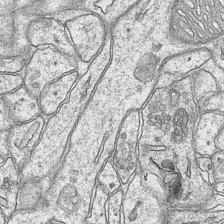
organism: Mouse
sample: CA1 Hippocampus